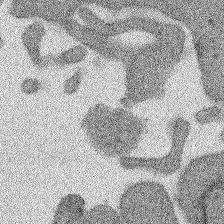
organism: Human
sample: HeLa cells